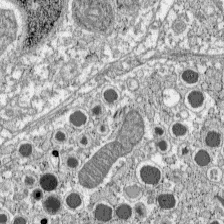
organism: C57BL Mouse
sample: Pancreatic islet